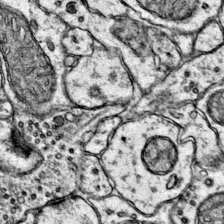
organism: Mouse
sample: Primary visual cortex